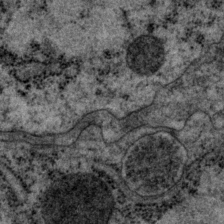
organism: P. pacificus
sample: Pharynx